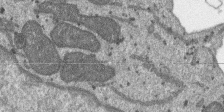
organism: Human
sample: Lung epithelial cells infected with SARS-CoV-2